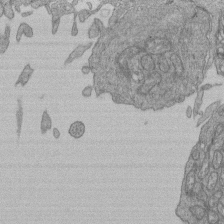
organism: Human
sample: Retinal organoid Rod and Cone cells